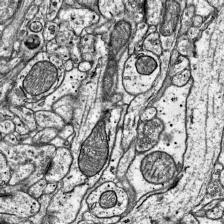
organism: Mouse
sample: Visual Cortex